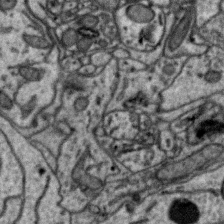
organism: Zebra finch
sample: Brain